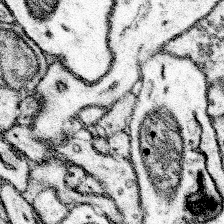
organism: Mouse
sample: Somatosensory cortex neuropil